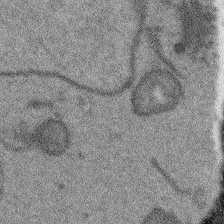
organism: Arabidopsis thaliana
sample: Root tip